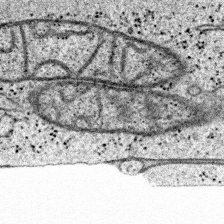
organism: Human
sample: HeLa cells